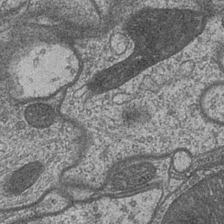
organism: Drosophila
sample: Optic medulla